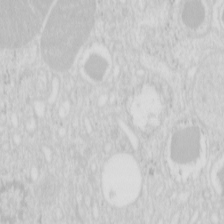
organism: Mouse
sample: Pancreas